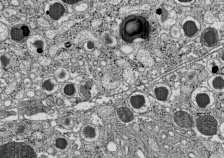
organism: C57BL Mouse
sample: Pancreatic islet